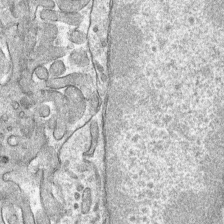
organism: Mouse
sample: Mouse hepatocytes